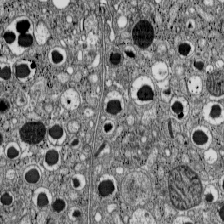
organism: C57BL Mouse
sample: Pancreatic islet